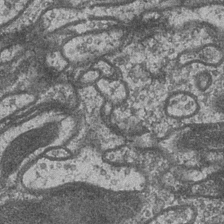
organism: Drosophila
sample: Optic medulla